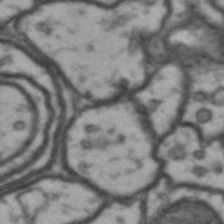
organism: Drosophila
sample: Brain